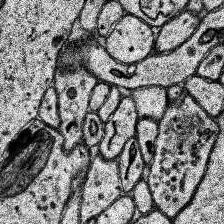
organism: Human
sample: Temporal Lobe